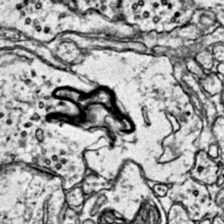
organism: Mouse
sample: Primary visual cortex